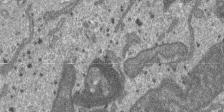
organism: Human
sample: Lung epithelial cells infected with SARS-CoV-2